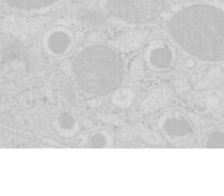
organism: Mouse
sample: Pancreas